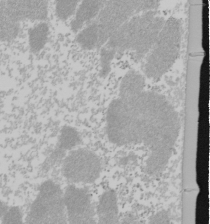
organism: Mouse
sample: Cancer cell death in ED-1 cells